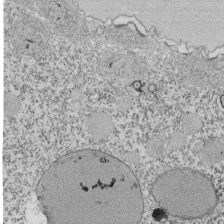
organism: Tetrahymena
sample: Cilia in tetrahymena